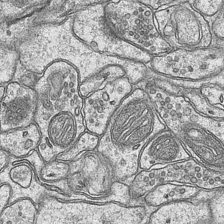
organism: Mouse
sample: CA1 Hippocampus